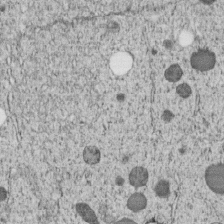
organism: C. elegans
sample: C. elegans embryo early stage